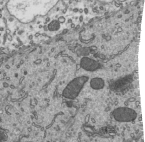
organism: Mouse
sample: Mouse epididymis efferent ductule cilia